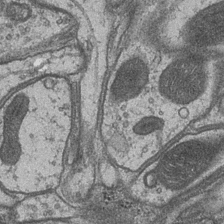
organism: Drosophila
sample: Optic medulla